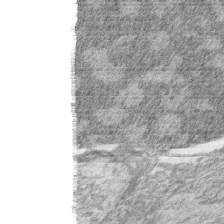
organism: Zebrafish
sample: synaptic ribbons in rod cells and cone cells